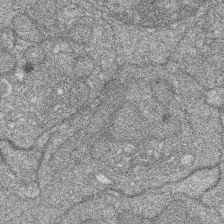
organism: Zebrafish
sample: Cilia; retinal pigment epithelium